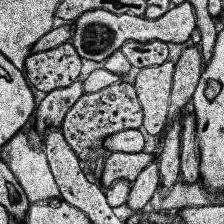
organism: Human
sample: Temporal Lobe